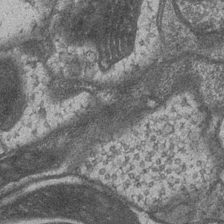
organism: Drosophila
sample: Optic medulla